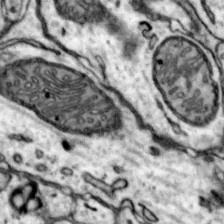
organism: Mouse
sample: Nucleus accumbens